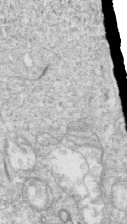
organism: Human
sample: HeLa cell HIV synapse